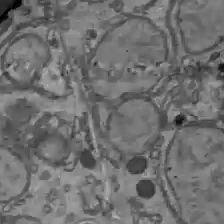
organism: C57BL Mouse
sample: Liver